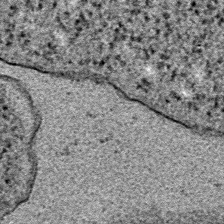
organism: E. coli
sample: E. Coli Bacteria